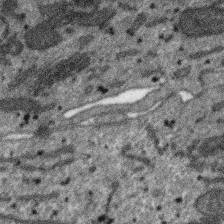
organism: Human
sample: Lung epithelial cells infected with SARS-CoV-2